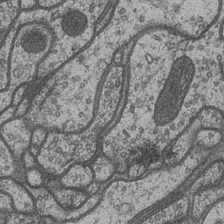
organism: Drosophila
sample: Optic medulla